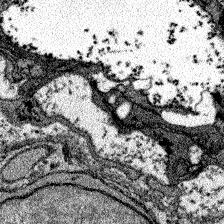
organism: Zebrafish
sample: Larval olfactory bulb